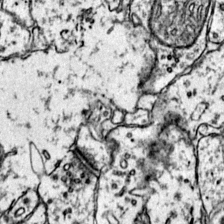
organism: Mouse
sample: Primary visual cortex